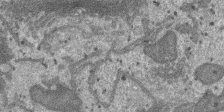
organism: Human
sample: Lung epithelial cells infected with SARS-CoV-2